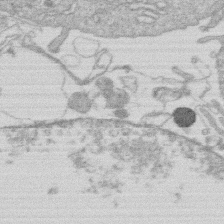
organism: Human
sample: Macrophage cells